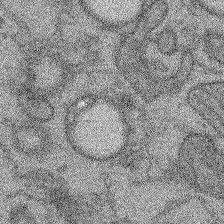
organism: Human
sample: HeLa cells